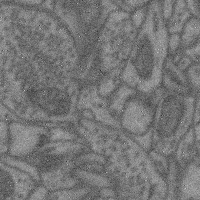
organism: Mouse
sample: Cerebral cortex